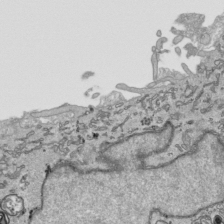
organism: Human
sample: Mitochondria in HCT116 cells